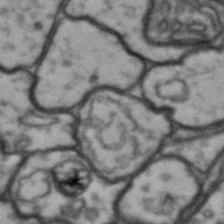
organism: Drosophila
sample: Brain